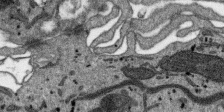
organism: Human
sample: Lung epithelial cells, uninfected (mock) control